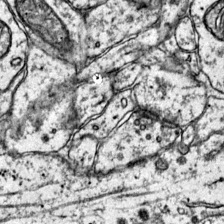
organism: Mouse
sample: Primary visual cortex